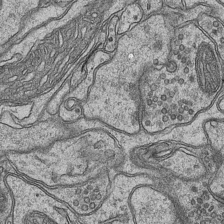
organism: Mouse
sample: CA1 Hippocampus